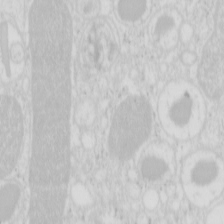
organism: Mouse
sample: Pancreas